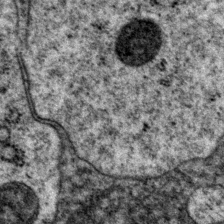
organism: P. pacificus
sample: Pharynx